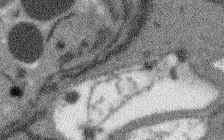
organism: Arabidopsis thaliana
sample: Root tip